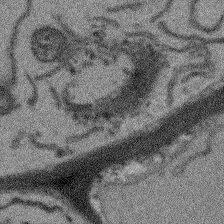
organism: Arabidopsis thaliana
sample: Root tip